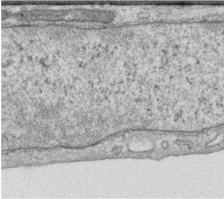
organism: Human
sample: Centriole in RPE cells